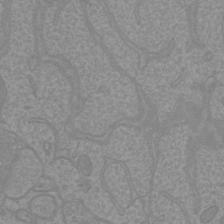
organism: Mouse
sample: Cortical neurons